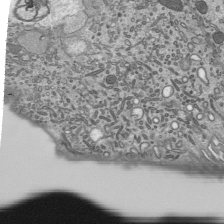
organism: Mouse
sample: Mouse epididymis efferent ductule cilia